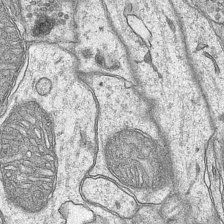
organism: Mouse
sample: CA1 Hippocampus